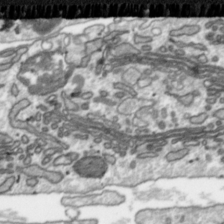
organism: Toxoplasma gondii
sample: Parasites in a vacuole inside a host cell